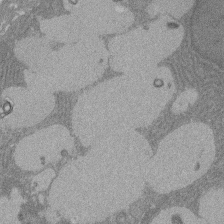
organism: Rat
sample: Salivary granule